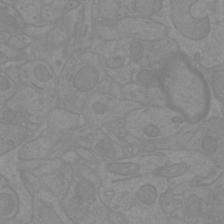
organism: Mouse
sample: Cortical neurons